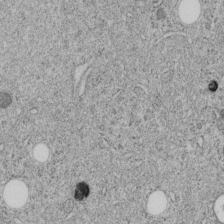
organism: C. elegans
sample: C. elegans embryo early stage